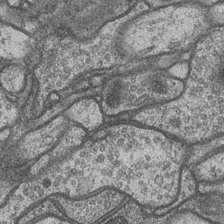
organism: Drosophila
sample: Optic medulla